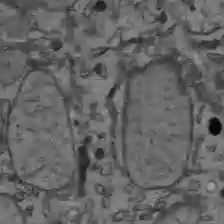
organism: C57BL Mouse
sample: Liver